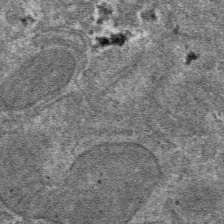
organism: Mouse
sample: Mouse hepatocytes